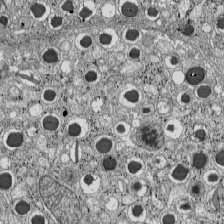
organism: C57BL Mouse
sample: Pancreatic islet